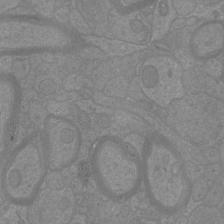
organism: Mouse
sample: Cortical neurons